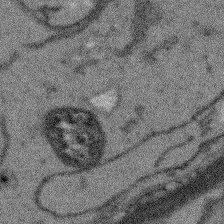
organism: Arabidopsis thaliana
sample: Root tip